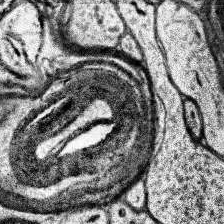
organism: Human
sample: Temporal Lobe